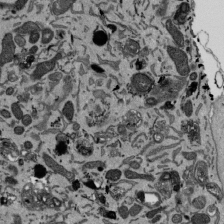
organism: Mouse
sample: ED-1 cell nuclei; centrioles